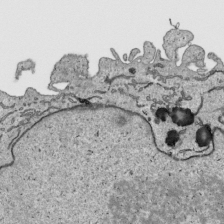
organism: Human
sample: Mitochondria in HCT116 cells